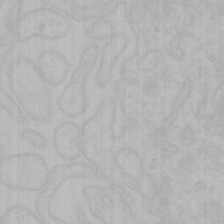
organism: Mouse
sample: Choroid plexus